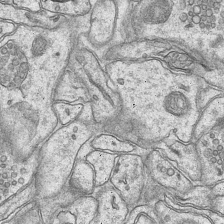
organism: Mouse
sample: CA1 Hippocampus